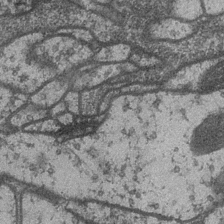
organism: Drosophila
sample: Optic medulla